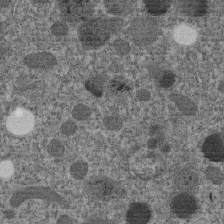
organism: C. elegans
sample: C. elegans embryo early stage